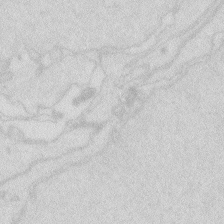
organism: Zebrafish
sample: Macrophage